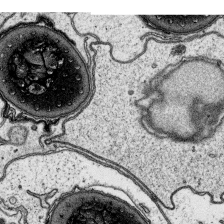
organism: Platynereis dumerilii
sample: Parapodia